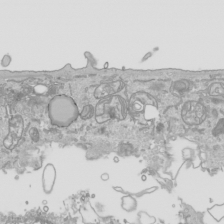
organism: Human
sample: Mitochondria in HCT116 cells